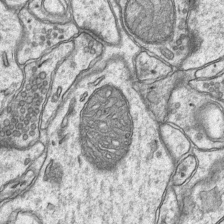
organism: Mouse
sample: CA1 Hippocampus